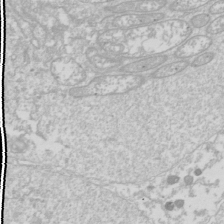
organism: Drosophila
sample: Cell division; meiosis; drosophila spermatocytes